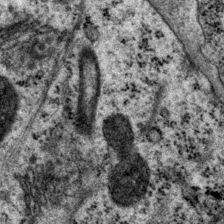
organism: P. pacificus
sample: Pharynx